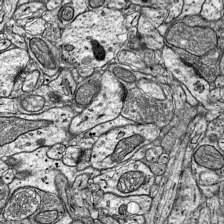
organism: Mouse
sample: Visual Cortex